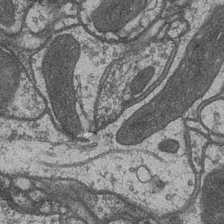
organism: Drosophila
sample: Optic medulla